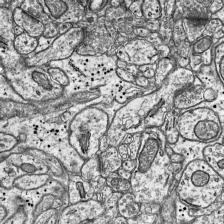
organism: Mouse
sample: Visual Cortex